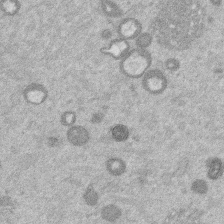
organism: Mouse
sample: Dividing mouse embryo 1 cell stage